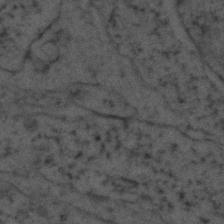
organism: Zebrafish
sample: Zebrafish embryo